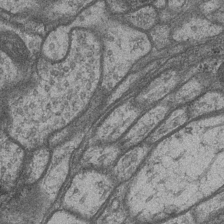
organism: Drosophila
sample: Optic medulla